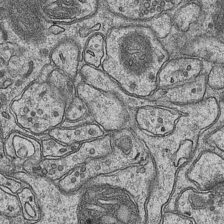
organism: Mouse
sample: CA1 Hippocampus